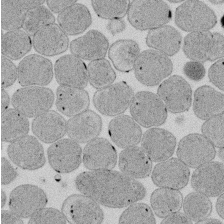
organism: E. coli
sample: Bacterial nucleoid